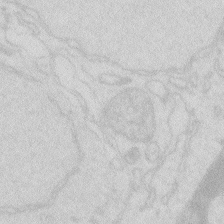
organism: Zebrafish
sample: Macrophage